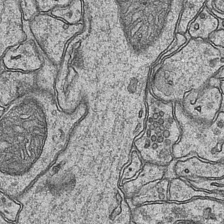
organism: Mouse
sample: CA1 Hippocampus